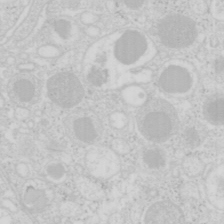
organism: Mouse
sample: Pancreas